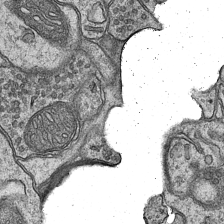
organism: Mouse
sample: CA1 Hippocampus